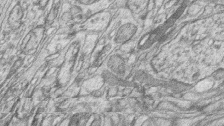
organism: Zebrafish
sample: synaptic ribbons in rod cells and cone cells